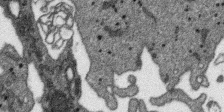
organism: Human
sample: Lung epithelial cells infected with SARS-CoV-2